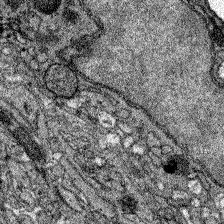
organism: Zebrafish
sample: Larval olfactory bulb